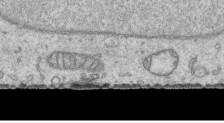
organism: Human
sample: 1205lu cells